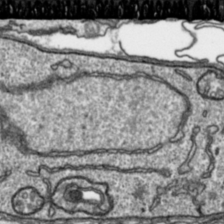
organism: Toxoplasma gondii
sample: Parasites in a vacuole inside a host cell